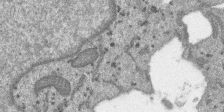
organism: Human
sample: Lung epithelial cells infected with SARS-CoV-2